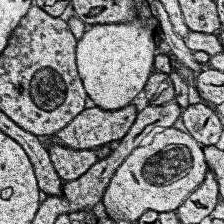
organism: Human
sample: Temporal Lobe